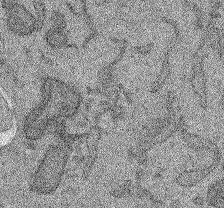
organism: Human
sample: HeLa cells